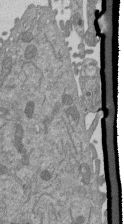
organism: Mouse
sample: ED-1 cell nuclei; centrioles